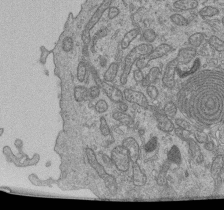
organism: Human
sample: Retinal organoid Rod and Cone cells